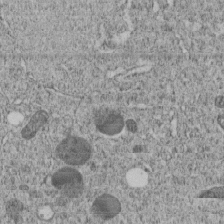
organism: C. elegans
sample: C. elegans embryo early stage